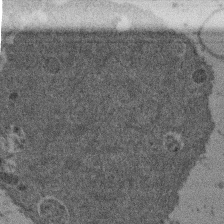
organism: Mouse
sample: Dividing mouse embryo 1 cell stage